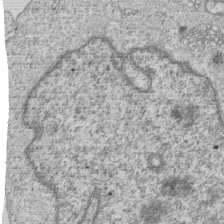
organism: Human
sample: MDA-MB-231 cells